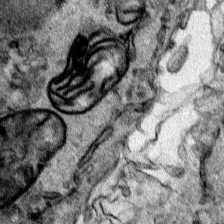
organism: Human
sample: Mitochondria in HCT116 cells